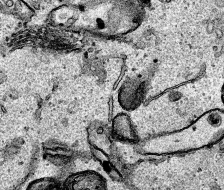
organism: Human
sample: Mitochondria in HCT116 cells